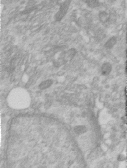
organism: Human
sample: Centriole in RPE cells